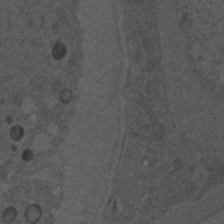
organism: C. elegans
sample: C. elegans embryo